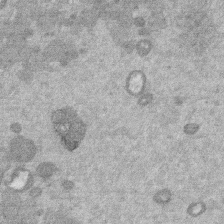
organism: Mouse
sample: Dividing mouse embryo 1 cell stage